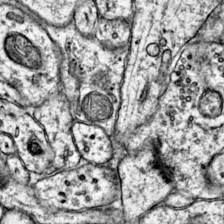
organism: Mouse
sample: Primary visual cortex